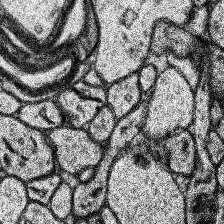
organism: Human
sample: Temporal Lobe